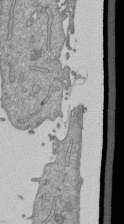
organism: Mouse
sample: ED-1 cell nuclei; centrioles